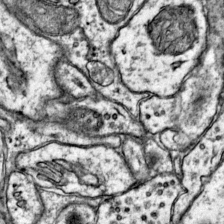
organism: Mouse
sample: Primary visual cortex